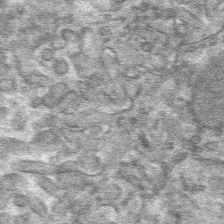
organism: Mouse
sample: Mouse hepatocytes